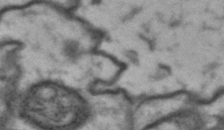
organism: Drosophila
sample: Brain